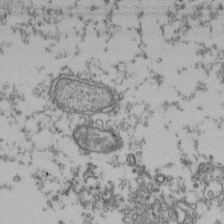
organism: Human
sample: Activated Jurkat CD4+ T cells